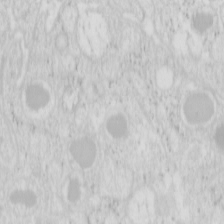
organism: Mouse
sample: Pancreas